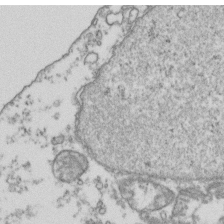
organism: Human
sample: Activated Jurkat CD4+ T cells